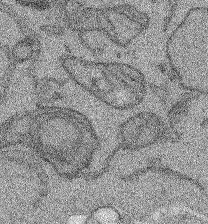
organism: Human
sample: HeLa cells